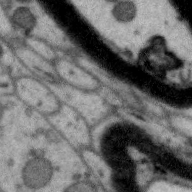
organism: Zebra finch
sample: Brain